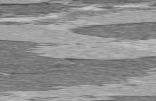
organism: C57BL Mouse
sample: Heart